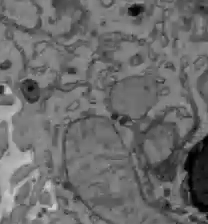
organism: C57BL Mouse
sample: Liver